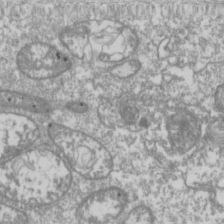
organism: Drosophila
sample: Cell division; meiosis; drosophila spermatocytes